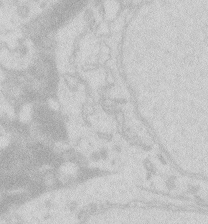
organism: Zebrafish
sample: Macrophage